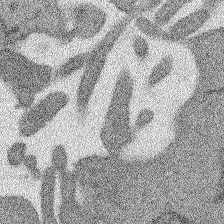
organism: Human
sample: HeLa cells